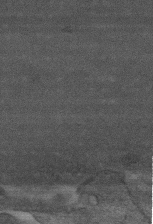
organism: Mouse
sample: Centriole in ependymal cells